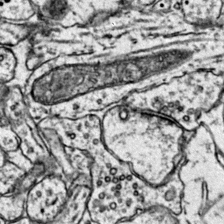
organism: Mouse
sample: Primary visual cortex